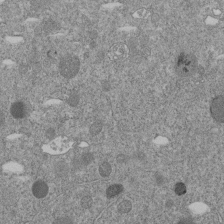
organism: C. elegans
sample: C. elegans embryo early stage